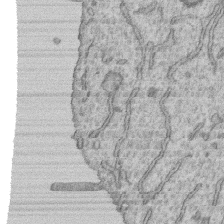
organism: Human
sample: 1205lu cells